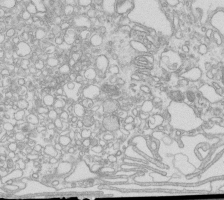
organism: Mouse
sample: Macrophages